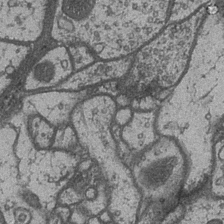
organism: Drosophila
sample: Optic medulla